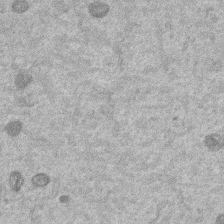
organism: Mouse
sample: Dividing mouse embryo 1 cell stage